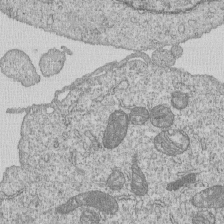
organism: Human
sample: MDA-MB-231 cells